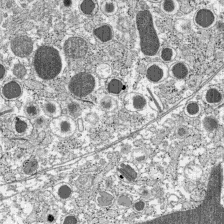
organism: C57BL Mouse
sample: Pancreatic islet